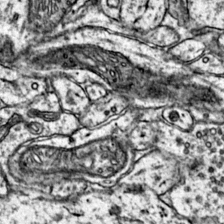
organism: Mouse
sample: Primary visual cortex